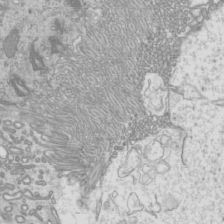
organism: Mouse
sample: Cilia; mouse epididymis